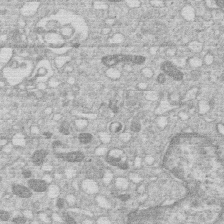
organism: Human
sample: Macrophage cells